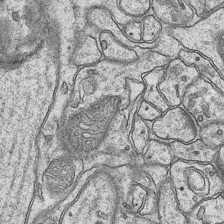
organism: Mouse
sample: CA1 Hippocampus